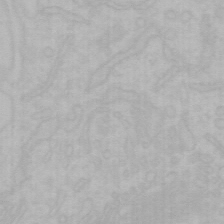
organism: Mouse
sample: Choroid plexus